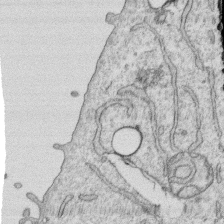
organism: Human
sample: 1205lu cells